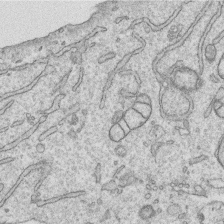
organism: Human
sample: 1205lu cells